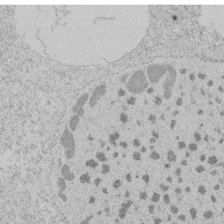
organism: Tetrahymena